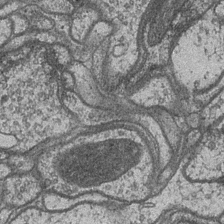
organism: Drosophila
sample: Optic medulla